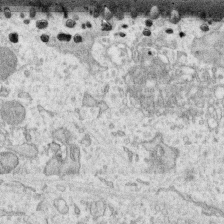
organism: Human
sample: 1205lu cells